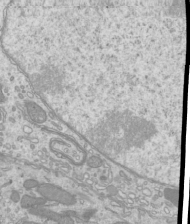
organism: Mouse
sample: Cilia; mouse epididymis